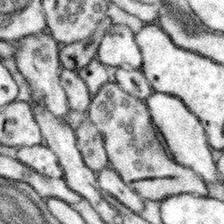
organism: Mouse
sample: Somatosensory cortex neuropil